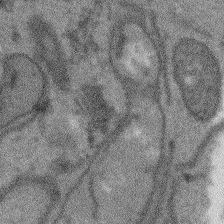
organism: Arabidopsis thaliana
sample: Root tip